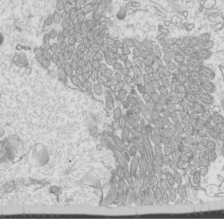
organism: Mouse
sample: Cilia; mouse epididymis